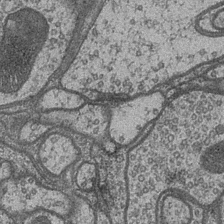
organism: Drosophila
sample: Optic medulla